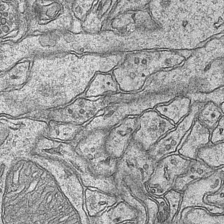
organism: Mouse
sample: CA1 Hippocampus